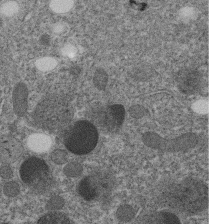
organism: C. elegans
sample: C. elegans embryo early stage